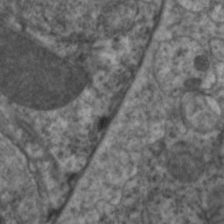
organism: C. elegans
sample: Pharynx